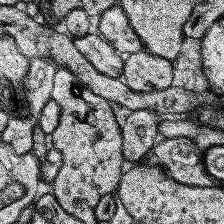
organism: Human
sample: Temporal Lobe